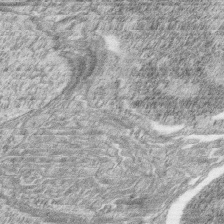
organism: Zebrafish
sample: synaptic ribbons in rod cells and cone cells